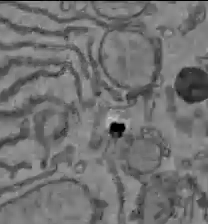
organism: C57BL Mouse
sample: Liver